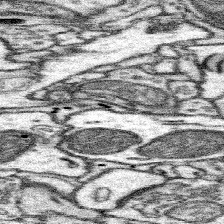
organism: Mouse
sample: Somatosensory cortex neuropil